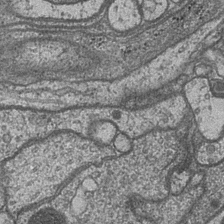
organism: Drosophila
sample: Optic medulla